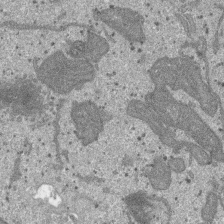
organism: Human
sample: Lung epithelial cells infected with SARS-CoV-2